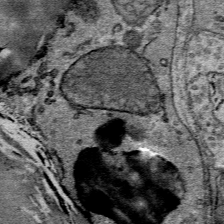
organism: Mouse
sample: Mouse Salivary gland